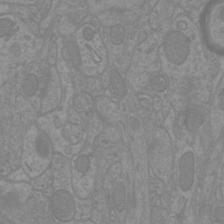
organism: Mouse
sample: Cortical neurons